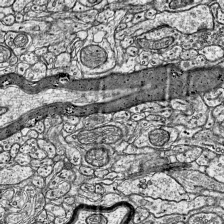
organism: Mouse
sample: Visual Cortex